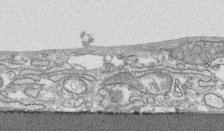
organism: Human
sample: CRL-1474